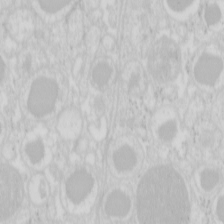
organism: Mouse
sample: Pancreas